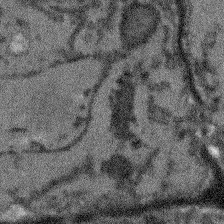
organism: Arabidopsis thaliana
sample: Root tip